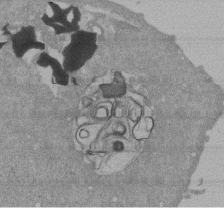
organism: Mouse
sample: ED-1 cell nuclei; centrioles